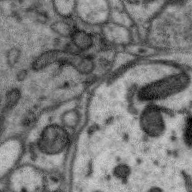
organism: Zebra finch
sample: Brain